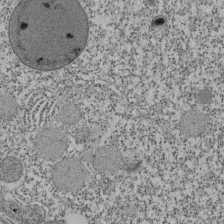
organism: Tetrahymena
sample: Cilia in tetrahymena